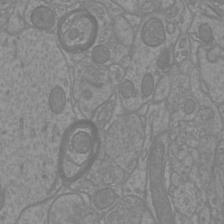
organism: Mouse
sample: Cortical neurons